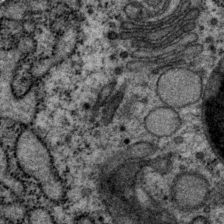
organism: P. pacificus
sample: Pharynx